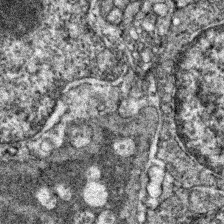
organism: Zebrafish